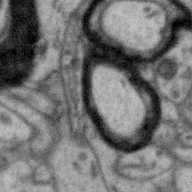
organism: Zebra finch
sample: Brain